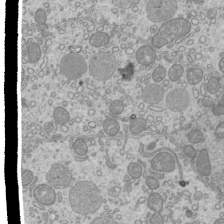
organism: Mouse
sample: Cilia; mouse epididymis